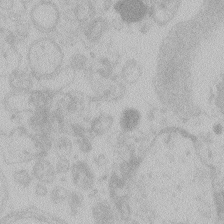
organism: Zebrafish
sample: Macrophage infected with Toxoplasma gondii